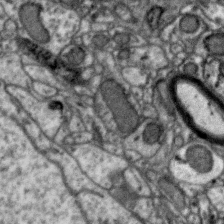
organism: Zebra finch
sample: Brain